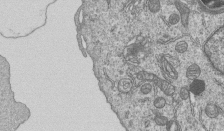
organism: Human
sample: MDA-MB-231 cells